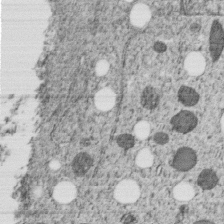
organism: C. elegans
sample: C. elegans embryo early stage